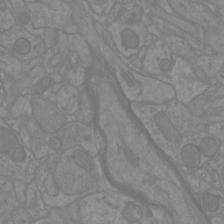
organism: Mouse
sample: Cortical neurons